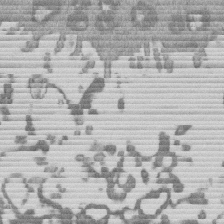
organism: Mouse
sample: Dividing mouse embryo 1 cell stage